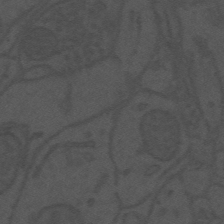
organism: Mouse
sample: Suprachiasmatic nucleus